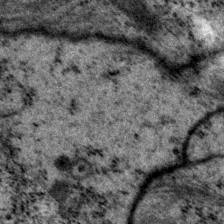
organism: P. pacificus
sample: Pharynx